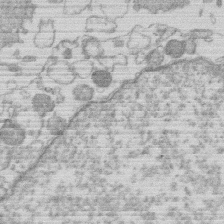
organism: Human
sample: Macrophage cells